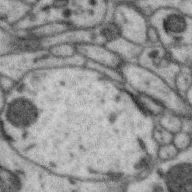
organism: Zebra finch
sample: Brain